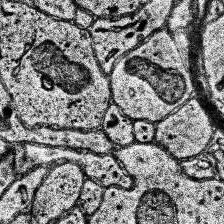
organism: Human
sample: Temporal Lobe